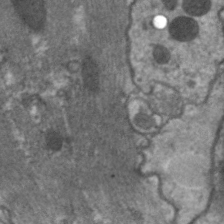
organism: C. elegans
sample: Pharynx